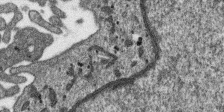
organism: Human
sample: Lung epithelial cells infected with SARS-CoV-2